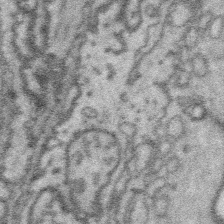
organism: Platynereis dumerilii